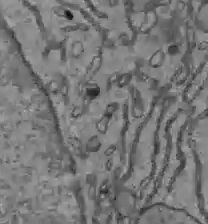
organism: C57BL Mouse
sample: Liver